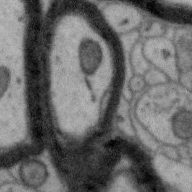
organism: Zebra finch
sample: Brain